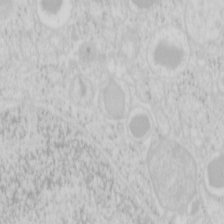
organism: Mouse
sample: Pancreas